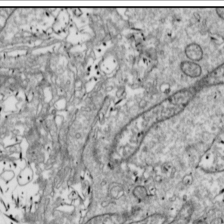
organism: Drosophila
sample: Cell division; meiosis; drosophila spermatocytes